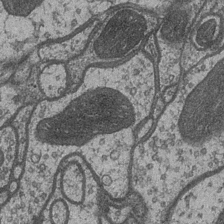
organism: Drosophila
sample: Optic medulla